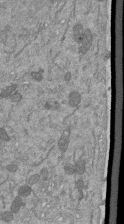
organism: Mouse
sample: ED-1 cell nuclei; centrioles